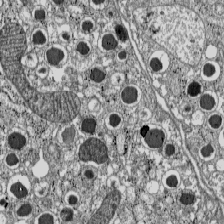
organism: C57BL Mouse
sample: Pancreatic islet